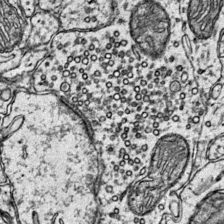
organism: Mouse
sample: Primary visual cortex